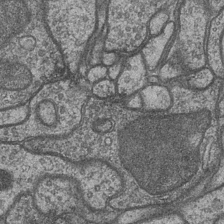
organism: Drosophila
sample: Optic medulla